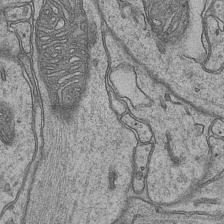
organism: Mouse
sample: CA1 Hippocampus